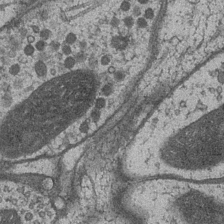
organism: Drosophila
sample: Optic medulla